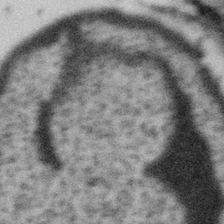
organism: Gemmata obscuriglobus